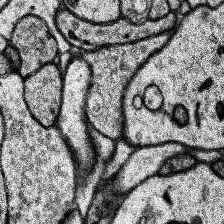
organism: Human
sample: Temporal Lobe